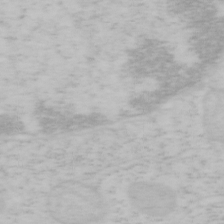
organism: Mouse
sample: OT-I killer T cells with ID8 ovarian cancer cells